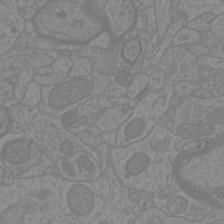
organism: Mouse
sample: Cortical neurons